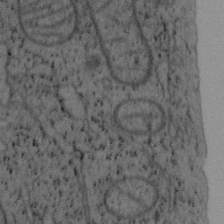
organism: Human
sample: HeLa cells